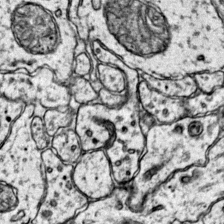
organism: Mouse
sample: Primary visual cortex